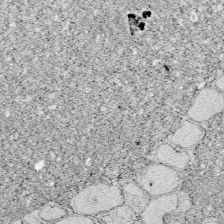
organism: Zebrafish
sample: Whole-Brain